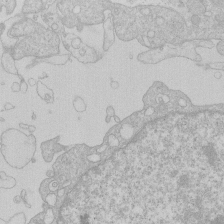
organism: Human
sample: Macrophage cells